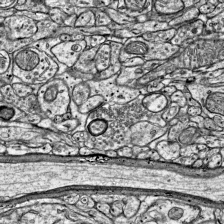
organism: Mouse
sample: Visual Cortex